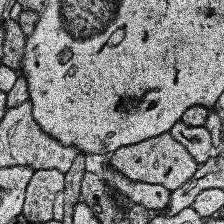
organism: Human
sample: Temporal Lobe